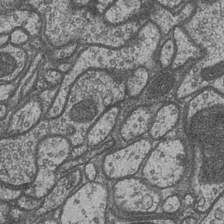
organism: Drosophila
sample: Optic medulla